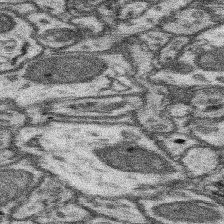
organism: Mouse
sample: Somatosensory cortex neuropil